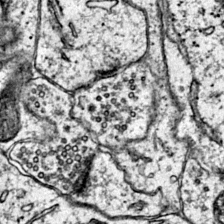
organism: Mouse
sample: Primary visual cortex